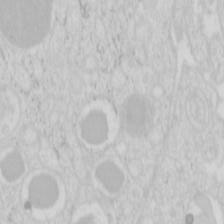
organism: Mouse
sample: Pancreas